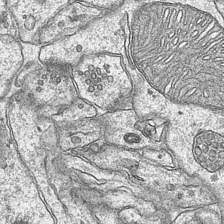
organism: Mouse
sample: CA1 Hippocampus